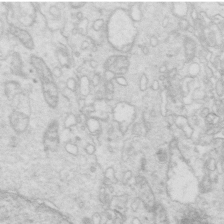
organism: Mouse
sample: Multiciliated cells